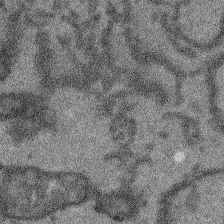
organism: Arabidopsis thaliana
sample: Root tip